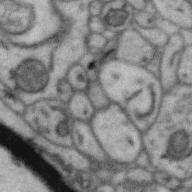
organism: Zebra finch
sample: Brain